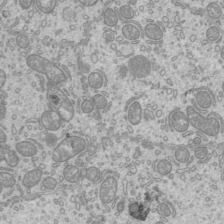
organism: Mouse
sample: Cilia; mouse epididymis